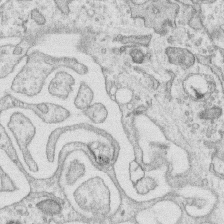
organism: Human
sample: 1205lu cells